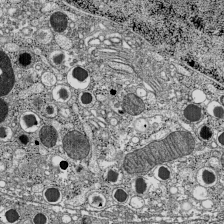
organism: C57BL Mouse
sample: Pancreatic islet